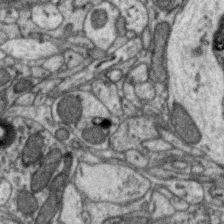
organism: Zebra finch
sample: Brain